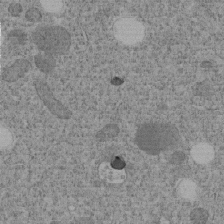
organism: C. elegans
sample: C. elegans embryo early stage